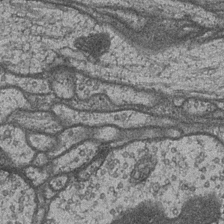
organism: Drosophila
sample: Optic medulla